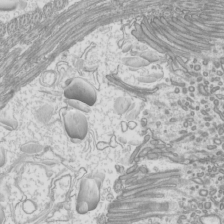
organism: Mouse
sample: Cilia; mouse epididymis